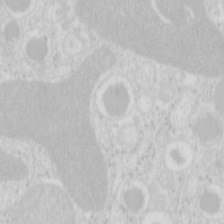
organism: Mouse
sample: Pancreas